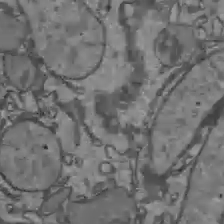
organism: C57BL Mouse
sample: Liver